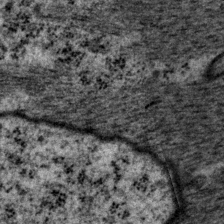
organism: P. pacificus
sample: Pharynx